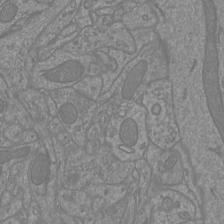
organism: Mouse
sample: Cortical neurons